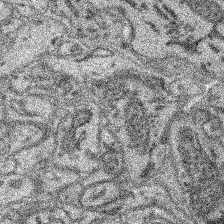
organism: Mouse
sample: Retina